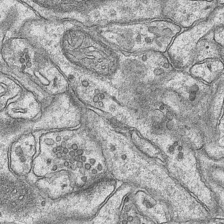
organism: Mouse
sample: CA1 Hippocampus